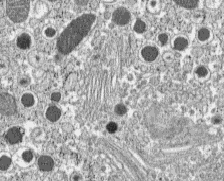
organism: C57BL Mouse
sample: Pancreatic islet